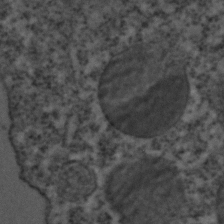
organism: C. elegans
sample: C. elegans embryo